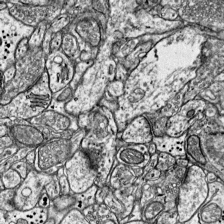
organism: Mouse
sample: Visual Cortex